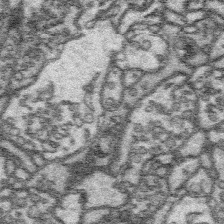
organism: Platynereis dumerilii